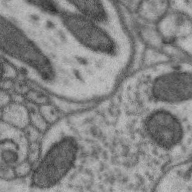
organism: Zebra finch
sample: Brain